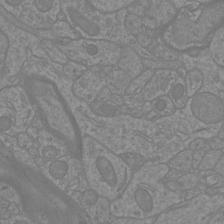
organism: Mouse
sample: Cortical neurons